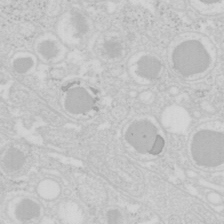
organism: Mouse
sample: Pancreas